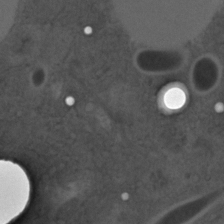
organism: C. elegans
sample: C. elegans embryo